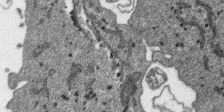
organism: Human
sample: Lung epithelial cells infected with SARS-CoV-2